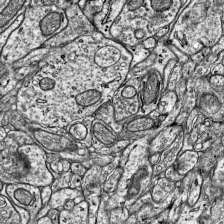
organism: Mouse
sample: Visual Cortex